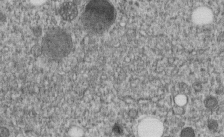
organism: C. elegans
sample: C. elegans embryo early stage